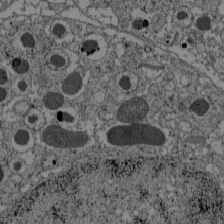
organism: C57BL Mouse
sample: Pancreatic islet